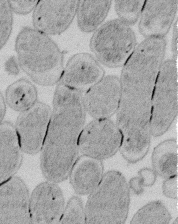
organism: E. coli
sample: Bacterial nucleoid